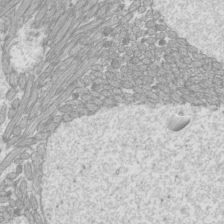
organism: Mouse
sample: Cilia; mouse epididymis